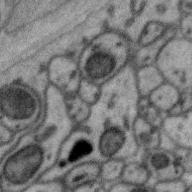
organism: Zebra finch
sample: Brain